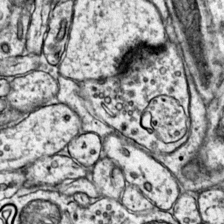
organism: Mouse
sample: Primary visual cortex